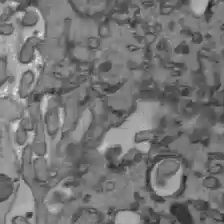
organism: C57BL Mouse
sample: Liver